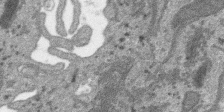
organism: Human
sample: Lung epithelial cells infected with SARS-CoV-2